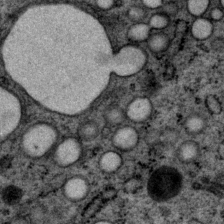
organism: P. pacificus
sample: Pharynx